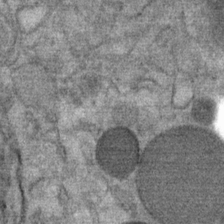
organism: Mouse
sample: Mouse Salivary gland